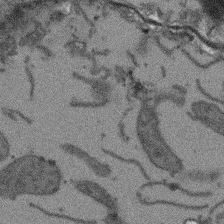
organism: Arabidopsis thaliana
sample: Root tip